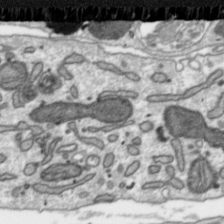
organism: Toxoplasma gondii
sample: Parasites in a vacuole inside a host cell